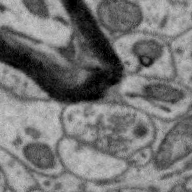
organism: Zebra finch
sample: Brain